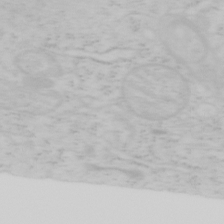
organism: Mouse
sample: OT-I killer T cells with ID8 ovarian cancer cells